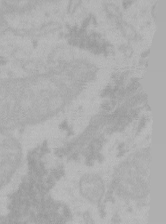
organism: Mouse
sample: Choroid plexus